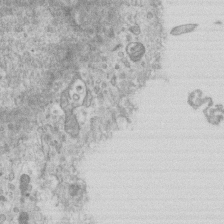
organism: Mouse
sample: Centriole in ependymal cells